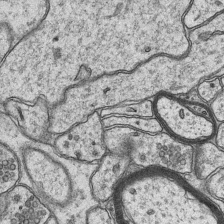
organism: Mouse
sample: CA1 Hippocampus